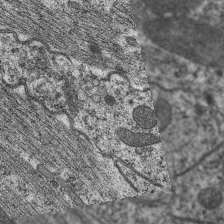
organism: C. elegans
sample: Pharynx